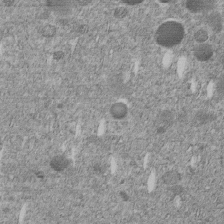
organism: C. elegans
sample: C. elegans embryo early stage